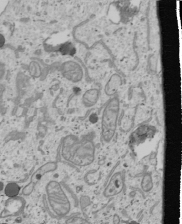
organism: Human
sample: Mitochondria in U2OS cells